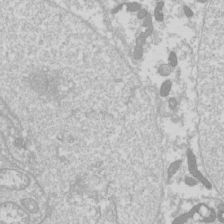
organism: Drosophila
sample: Cell division; meiosis; drosophila spermatocytes